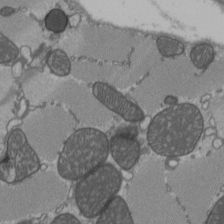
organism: C57BL Mouse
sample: Heart